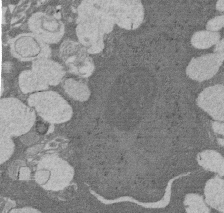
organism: Rat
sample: Salivary granule